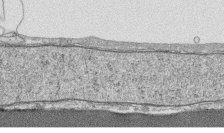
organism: Human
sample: CRL-1474